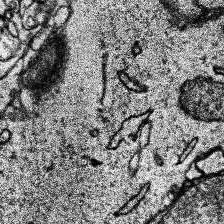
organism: Human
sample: Temporal Lobe